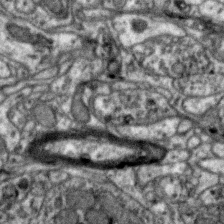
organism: Zebra finch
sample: Brain